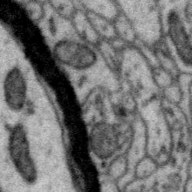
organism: Zebra finch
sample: Brain